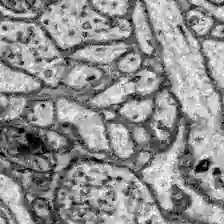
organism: Zebrafish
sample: Brain